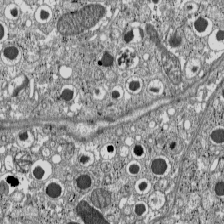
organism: C57BL Mouse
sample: Pancreatic islet